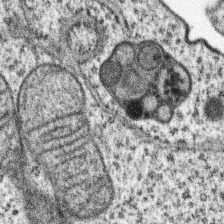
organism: Human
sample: HeLa cells